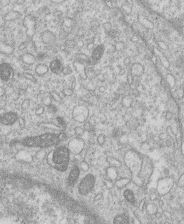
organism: Human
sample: Macrophage cells